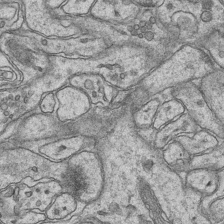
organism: Mouse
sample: CA1 Hippocampus